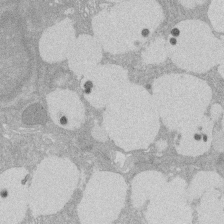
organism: Rat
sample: Salivary granule